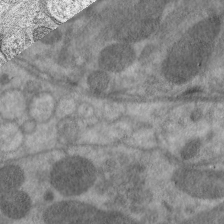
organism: C. elegans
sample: Pharynx